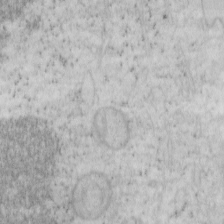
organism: Human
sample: HeLa cells